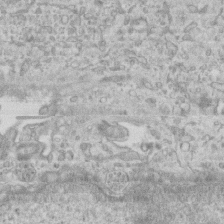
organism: Mouse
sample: Centriole in ependymal cells